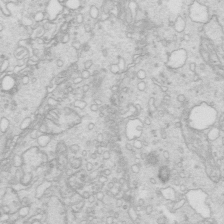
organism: Mouse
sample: Multiciliated cells